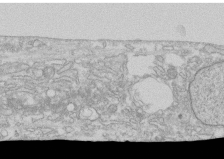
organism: Human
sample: CRL-1474